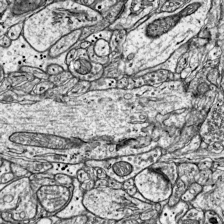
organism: Mouse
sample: Visual Cortex